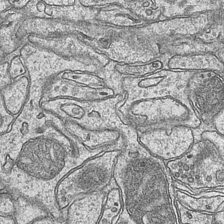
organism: Mouse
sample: CA1 Hippocampus